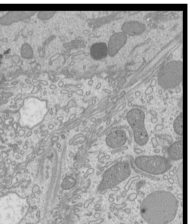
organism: Mouse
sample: Cilia; mouse epididymis